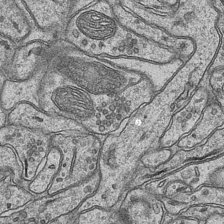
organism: Mouse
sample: CA1 Hippocampus